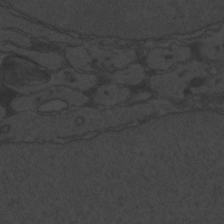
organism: Zebrafish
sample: Macrophage infected with Toxoplasma gondii